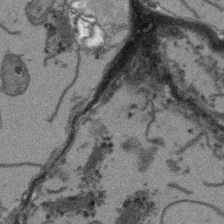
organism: Arabidopsis thaliana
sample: Root tip